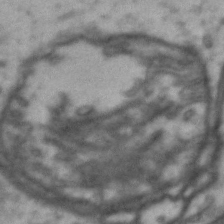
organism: Drosophila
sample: Brain